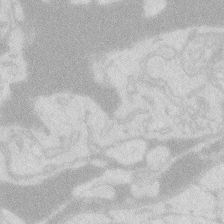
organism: Zebrafish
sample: Macrophage